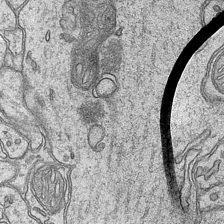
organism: Mouse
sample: CA1 Hippocampus